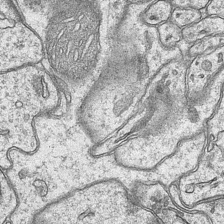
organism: Mouse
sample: CA1 Hippocampus